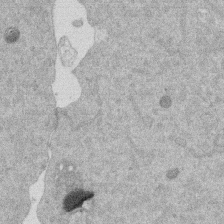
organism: Mouse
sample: Dividing mouse embryo 1 cell stage